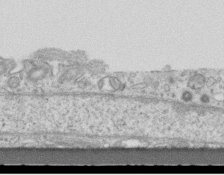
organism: Mouse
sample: Centriole in ependymal cells